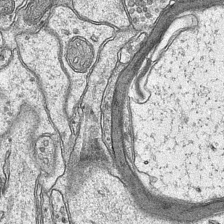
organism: Mouse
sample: CA1 Hippocampus